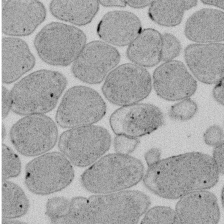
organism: E. coli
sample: Bacterial nucleoid